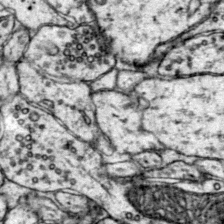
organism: Mouse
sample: Primary visual cortex